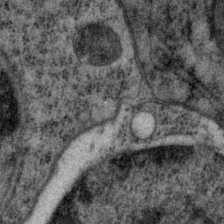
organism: P. pacificus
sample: Pharynx